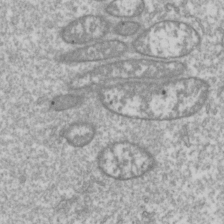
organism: Drosophila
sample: Cell division; meiosis; drosophila spermatocytes